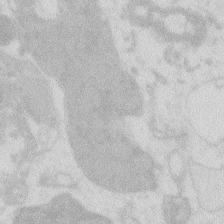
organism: Zebrafish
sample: Macrophage